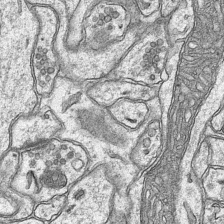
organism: Mouse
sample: CA1 Hippocampus